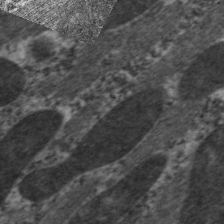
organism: C. elegans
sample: Pharynx